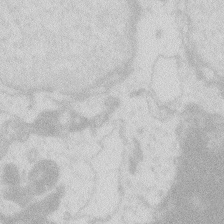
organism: Zebrafish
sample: Macrophage